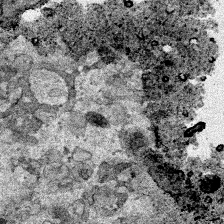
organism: Human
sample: Mitochondria in HCT116 cells